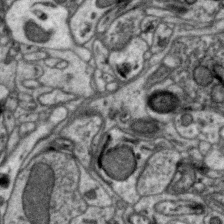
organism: Zebra finch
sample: Brain